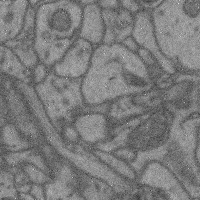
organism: Mouse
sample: Cerebral cortex